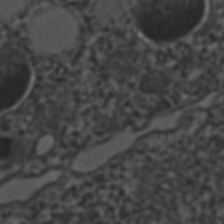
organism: C. elegans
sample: C. elegans embryo